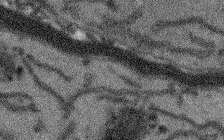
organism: Arabidopsis thaliana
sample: Root tip